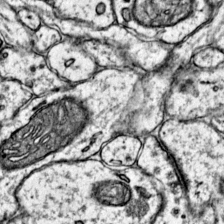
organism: Mouse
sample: Primary visual cortex